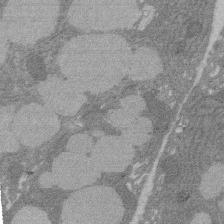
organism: Rat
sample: Salivary granule